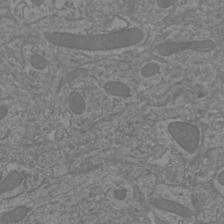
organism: Mouse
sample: Cortical neurons